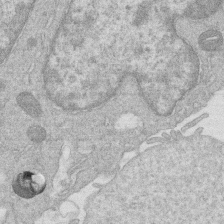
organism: Human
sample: Macrophage cells